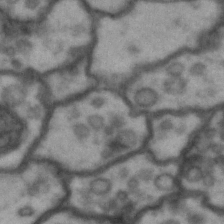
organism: Drosophila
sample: Brain